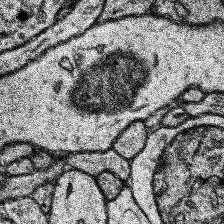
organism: Human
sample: Temporal Lobe